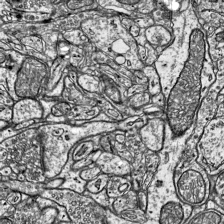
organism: Mouse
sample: Visual Cortex